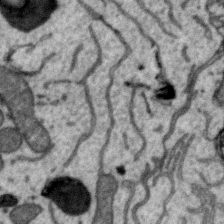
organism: Zebra finch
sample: Brain